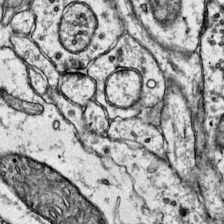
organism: Mouse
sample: Primary visual cortex